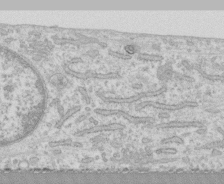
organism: Human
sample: CRL-1474